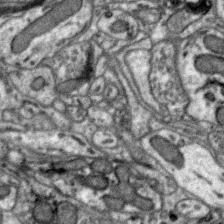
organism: Zebra finch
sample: Brain